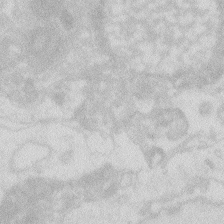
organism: Zebrafish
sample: Macrophage